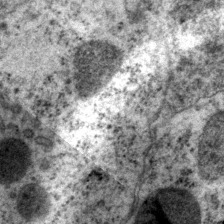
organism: P. pacificus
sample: Pharynx